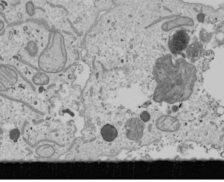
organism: Human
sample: Mitochondria in U2OS cells